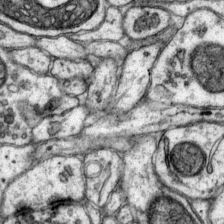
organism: Mouse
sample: Primary visual cortex